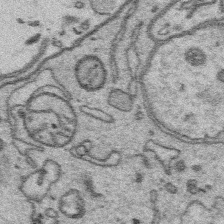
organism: Platynereis dumerilii